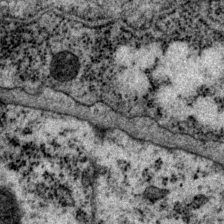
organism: P. pacificus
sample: Pharynx